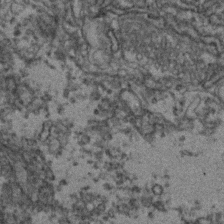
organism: Zebrafish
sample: Zebrafish embryo